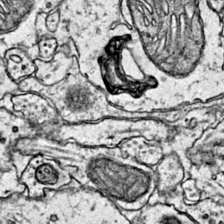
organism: Mouse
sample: Primary visual cortex